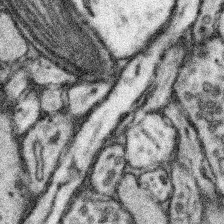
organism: Mouse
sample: Somatosensory cortex neuropil